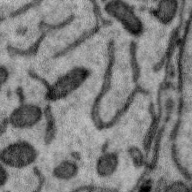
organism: Zebra finch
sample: Brain